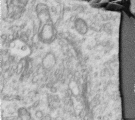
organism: Human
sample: Centriole in RPE cells